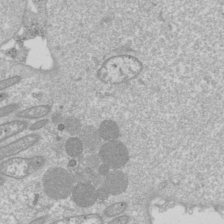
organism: Drosophila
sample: Cell division; meiosis; drosophila spermatocytes